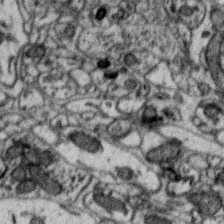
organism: Zebra finch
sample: Brain